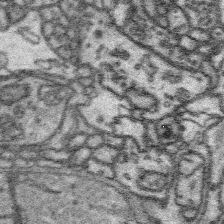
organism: Platynereis dumerilii